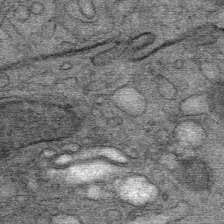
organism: Mouse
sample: Mouse Salivary gland